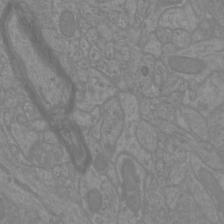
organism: Mouse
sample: Cortical neurons